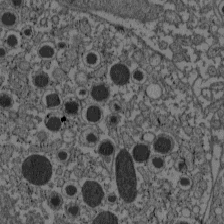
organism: C57BL Mouse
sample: Pancreatic islet